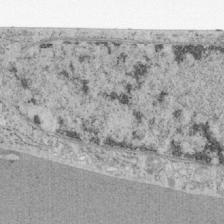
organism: Human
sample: HeLa cells